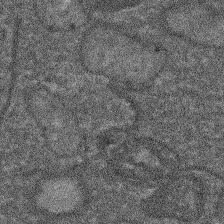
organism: Arabidopsis thaliana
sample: Root tip